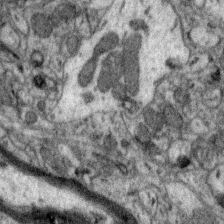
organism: Zebra finch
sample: Brain